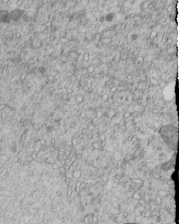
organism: C. elegans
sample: C. elegans embryo early stage